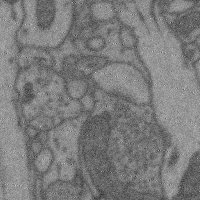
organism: Mouse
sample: Cerebral cortex